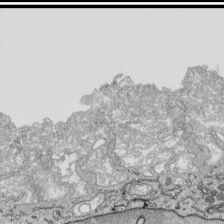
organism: Human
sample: Mitochondria in HCT116 cells